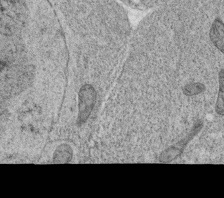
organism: C. elegans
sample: C. elegans oocyte; sperm cells